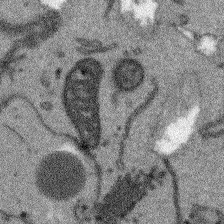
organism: Arabidopsis thaliana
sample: Root tip